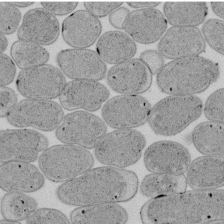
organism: E. coli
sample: Bacterial nucleoid